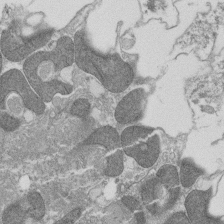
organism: Tetrahymena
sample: Cilia in tetrahymena